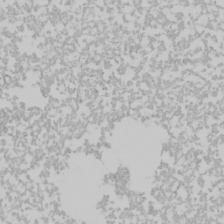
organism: Mouse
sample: Cancer cell death in ED-1 cells